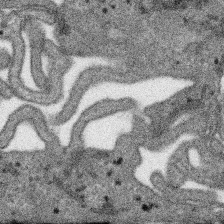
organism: Human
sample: Lung epithelial cells infected with SARS-CoV-2